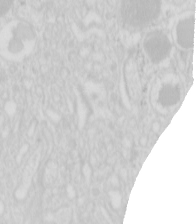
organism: Mouse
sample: Pancreas